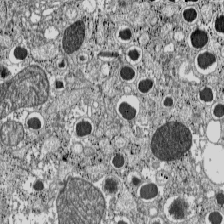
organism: C57BL Mouse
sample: Pancreatic islet